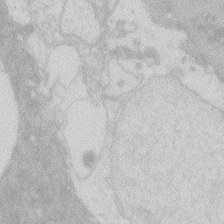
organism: Zebrafish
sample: Macrophage